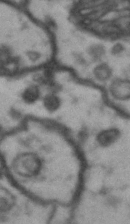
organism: Drosophila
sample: Brain